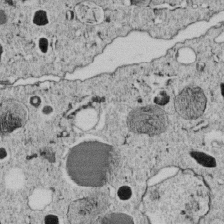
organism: C. elegans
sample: C. elegans embryo early stage